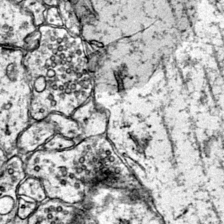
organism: Mouse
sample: Primary visual cortex